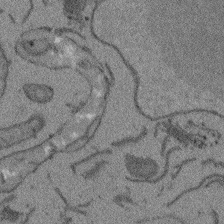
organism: Arabidopsis thaliana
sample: Root tip